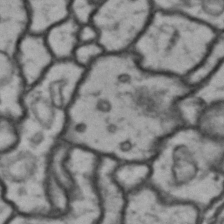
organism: Drosophila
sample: Brain